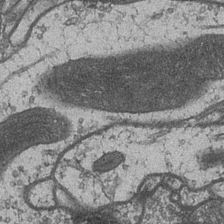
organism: Drosophila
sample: Optic medulla